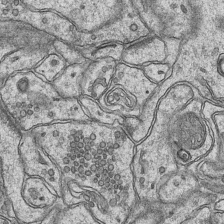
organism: Mouse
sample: CA1 Hippocampus